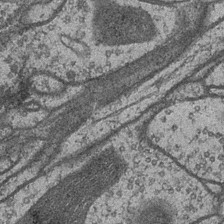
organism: Drosophila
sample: Optic medulla